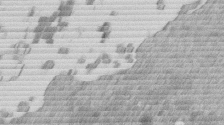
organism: Mouse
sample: Dividing mouse embryo 1 cell stage